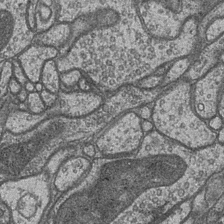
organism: Drosophila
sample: Optic medulla